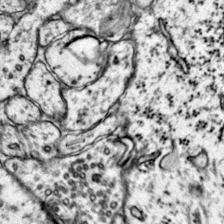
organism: Mouse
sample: Primary visual cortex